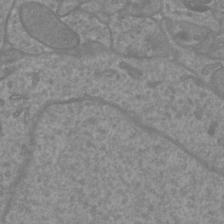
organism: Mouse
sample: Cortical neurons